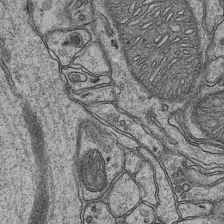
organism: Mouse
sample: CA1 Hippocampus